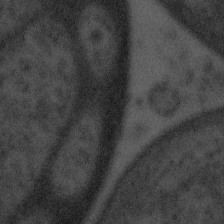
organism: Tuwongella immobilis